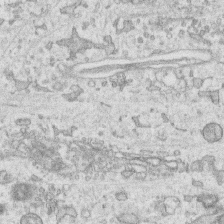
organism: Human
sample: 1205lu cells